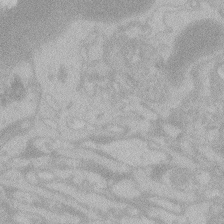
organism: Zebrafish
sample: Macrophage infected with Toxoplasma gondii